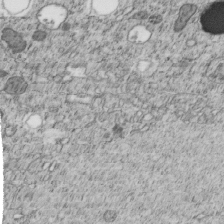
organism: C. elegans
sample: C. elegans embryo early stage